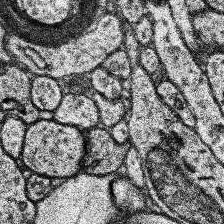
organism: Human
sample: Temporal Lobe